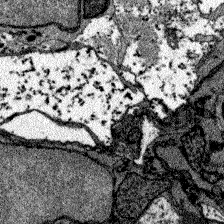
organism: Zebrafish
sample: Larval olfactory bulb